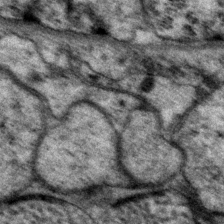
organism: P. pacificus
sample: Pharynx